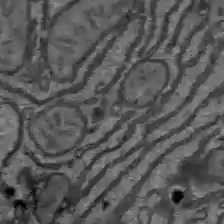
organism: C57BL Mouse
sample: Liver